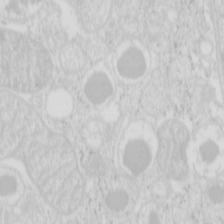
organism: Mouse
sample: Pancreas